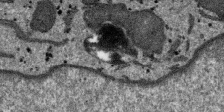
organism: Human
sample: Lung epithelial cells, uninfected (mock) control